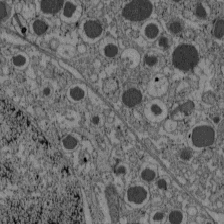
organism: C57BL Mouse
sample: Pancreatic islet